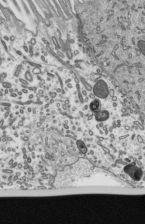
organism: Mouse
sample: Mouse epididymis efferent ductule cilia